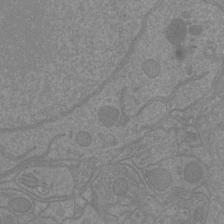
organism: Mouse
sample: Cortical neurons